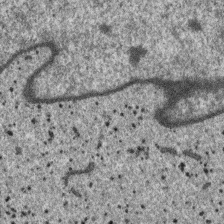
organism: Human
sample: Lung epithelial cells infected with SARS-CoV-2